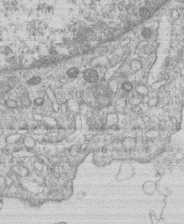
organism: Human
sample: Macrophage cells